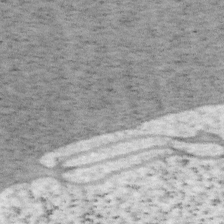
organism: Mouse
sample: OT-I killer T cells with ID8 ovarian cancer cells